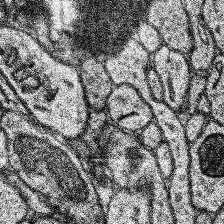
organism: Human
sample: Temporal Lobe